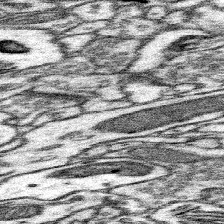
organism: Mouse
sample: Somatosensory cortex neuropil